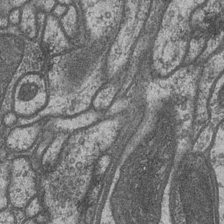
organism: Drosophila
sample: Optic medulla